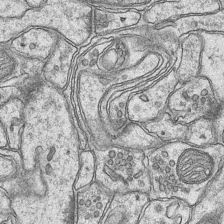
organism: Mouse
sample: CA1 Hippocampus